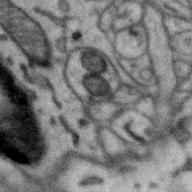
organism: Zebra finch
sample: Brain